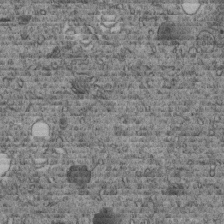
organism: C. elegans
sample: C. elegans embryo early stage